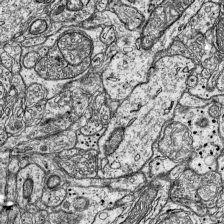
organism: Mouse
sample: Visual Cortex